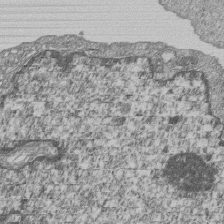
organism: Human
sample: MDA-MB-231 cells